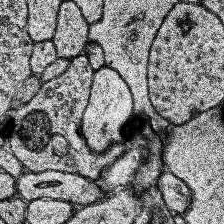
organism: Human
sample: Temporal Lobe